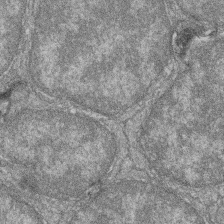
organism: Zebrafish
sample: Cilia; retinal pigment epithelium